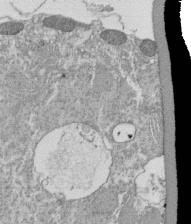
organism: Tetrahymena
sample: Cilia in tetrahymena